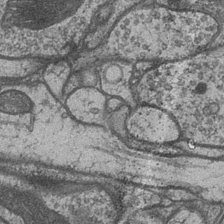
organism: Drosophila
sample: Optic medulla